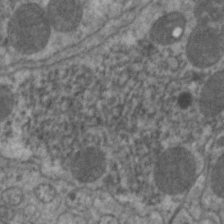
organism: C. elegans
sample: Pharynx